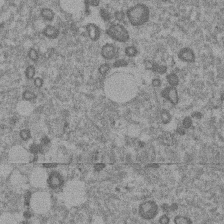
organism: Mouse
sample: Dividing mouse embryo 1 cell stage